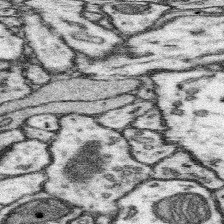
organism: Mouse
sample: Somatosensory cortex neuropil